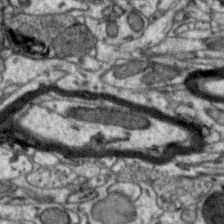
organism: Zebra finch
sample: Brain